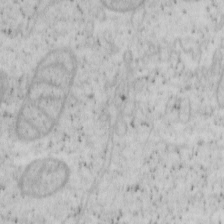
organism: Human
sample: HeLa cells